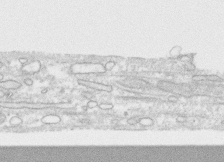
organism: Human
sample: CRL-1474